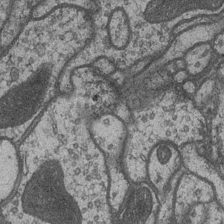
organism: Drosophila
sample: Optic medulla